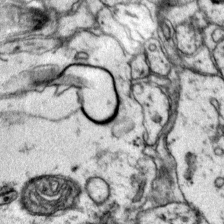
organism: Mouse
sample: Primary visual cortex